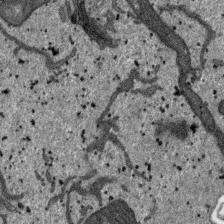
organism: Human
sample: Lung epithelial cells, uninfected (mock) control